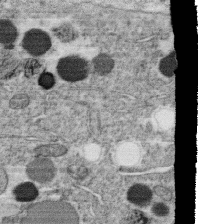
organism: C. elegans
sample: C. elegans oocyte; sperm cells